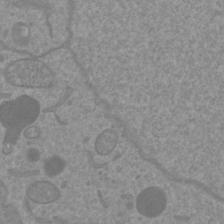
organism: Mouse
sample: Cortical neurons